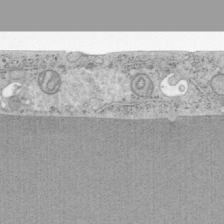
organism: Human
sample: HeLa cells